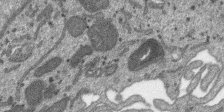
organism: Human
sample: Lung epithelial cells infected with SARS-CoV-2